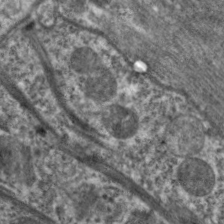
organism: C. elegans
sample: Pharynx